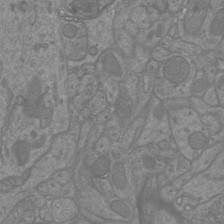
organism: Mouse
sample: Cortical neurons